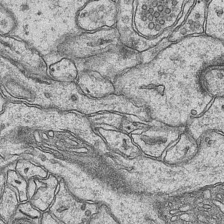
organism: Mouse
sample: CA1 Hippocampus